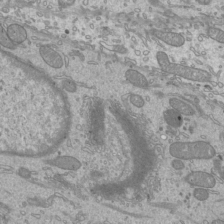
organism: Mouse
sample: Cilia; mouse epididymis